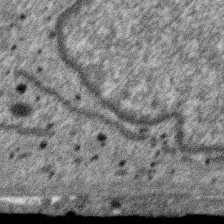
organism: Human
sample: Lung epithelial cells infected with SARS-CoV-2